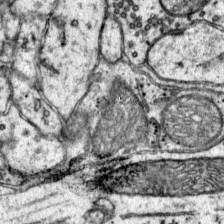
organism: Mouse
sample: Primary visual cortex